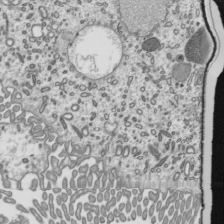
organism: Mouse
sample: Mouse epididymis efferent ductule cilia